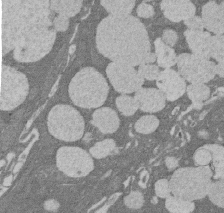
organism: Rat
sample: Salivary granule